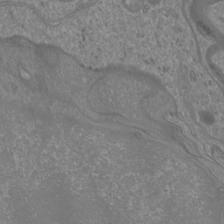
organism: Mouse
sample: Cortical neurons